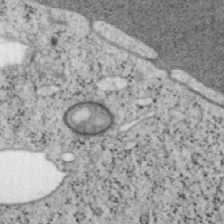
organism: Mouse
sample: OT-I killer T cells with ID8 ovarian cancer cells